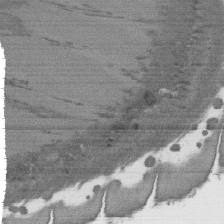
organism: C. elegans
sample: AFD neurons C. elegans